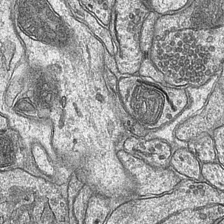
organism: Mouse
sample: CA1 Hippocampus